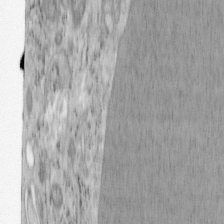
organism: Human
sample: HeLa cells